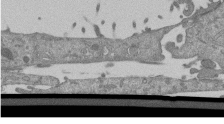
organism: Mouse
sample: ED-1 cell nuclei; centrioles